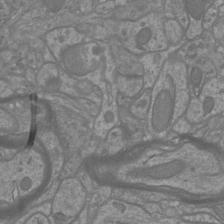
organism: Mouse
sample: Cortical neurons